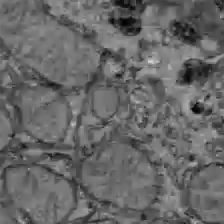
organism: C57BL Mouse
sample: Liver